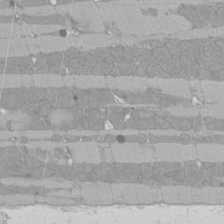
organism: Rat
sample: Left ventricle